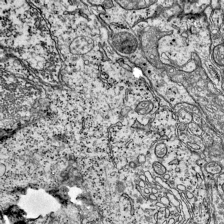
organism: Mouse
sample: Visual Cortex